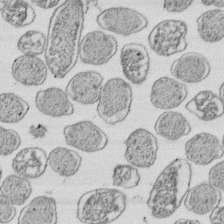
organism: E. coli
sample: Bacterial nucleoid